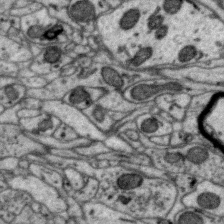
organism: Zebra finch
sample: Brain